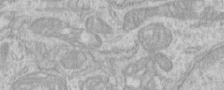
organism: Human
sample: Centriole in RPE cells